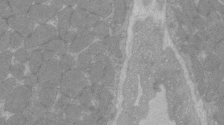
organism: C57BL Mouse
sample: Tibialis anterior muscle cell